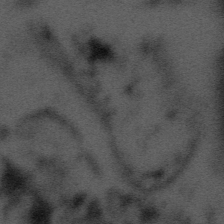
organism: Tuwongella immobilis